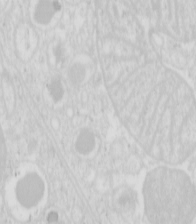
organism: Mouse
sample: Pancreas